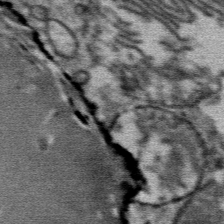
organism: Mouse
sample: Mouse Salivary gland